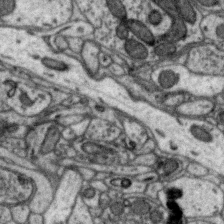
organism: Zebra finch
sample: Brain